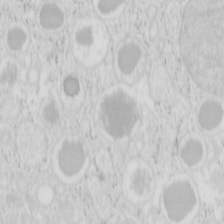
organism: Mouse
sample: Pancreas